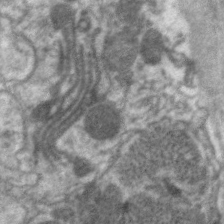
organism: C. elegans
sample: Pharynx